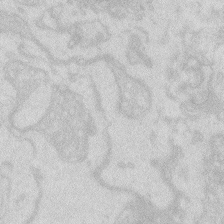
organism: Zebrafish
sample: Macrophage